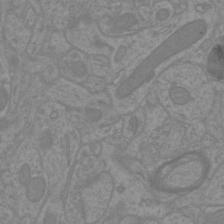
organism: Mouse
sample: Cortical neurons